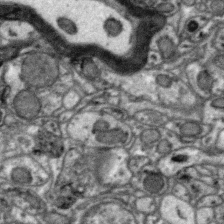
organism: Zebra finch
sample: Brain